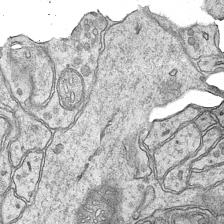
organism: Mouse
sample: CA1 Hippocampus